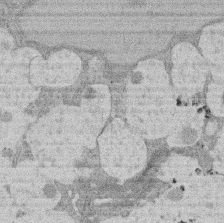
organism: Rat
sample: Salivary granule